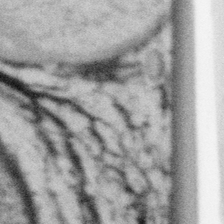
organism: Gemmata obscuriglobus